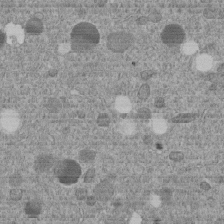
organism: C. elegans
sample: C. elegans embryo early stage